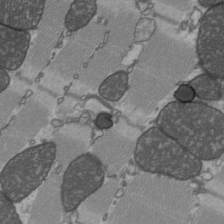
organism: C57BL Mouse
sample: Heart